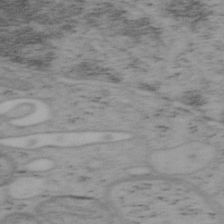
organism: Mouse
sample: OT-I killer T cells with ID8 ovarian cancer cells